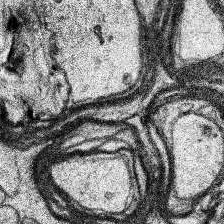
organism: Human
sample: Temporal Lobe